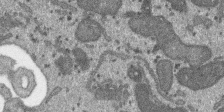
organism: Human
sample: Lung epithelial cells infected with SARS-CoV-2